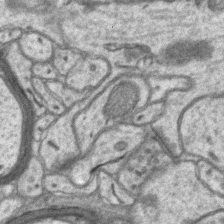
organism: Mouse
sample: CA1 Hippocampus